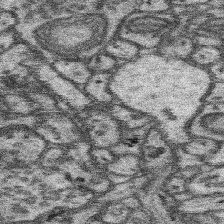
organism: Mouse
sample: Somatosensory cortex neuropil